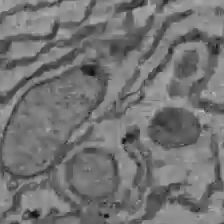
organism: C57BL Mouse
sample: Liver